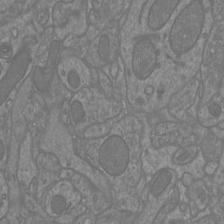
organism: Mouse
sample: Cortical neurons